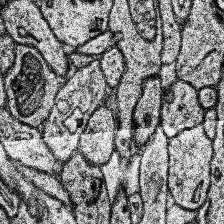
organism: Human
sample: Temporal Lobe